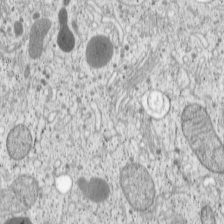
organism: African green monkey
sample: COS-7 cells